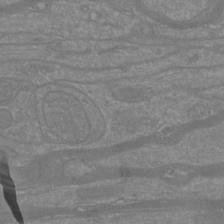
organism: Mouse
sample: Cortical neurons